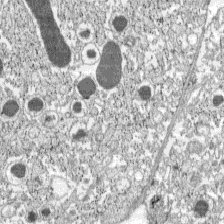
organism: C57BL Mouse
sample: Pancreatic islet